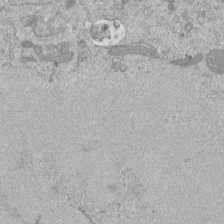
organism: Mouse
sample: ED-1 cell nuclei; centrioles